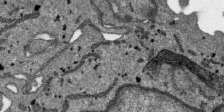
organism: Human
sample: Lung epithelial cells, uninfected (mock) control